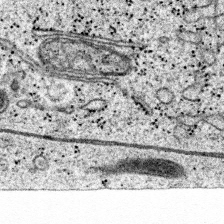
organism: Human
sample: HeLa cells